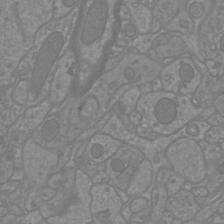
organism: Mouse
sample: Cortical neurons